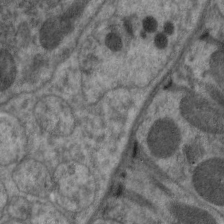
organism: C. elegans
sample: Pharynx